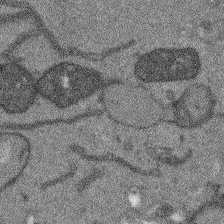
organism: Arabidopsis thaliana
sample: Root tip